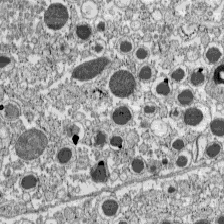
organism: C57BL Mouse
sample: Pancreatic islet